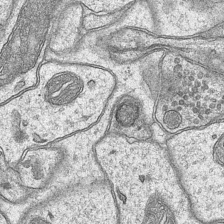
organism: Mouse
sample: CA1 Hippocampus